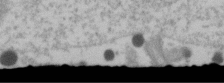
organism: Human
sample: U2-OS cells